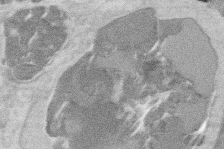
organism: Mouse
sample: T cell stromal cell synapse